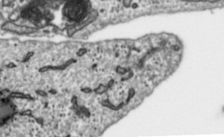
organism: Toxoplasma gondii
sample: Parasites in a vacuole inside a host cell